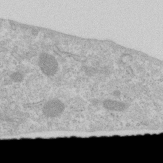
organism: Human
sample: Centriole in RPE cells